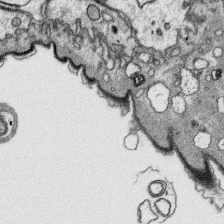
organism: Platynereis dumerilii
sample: Parapodia